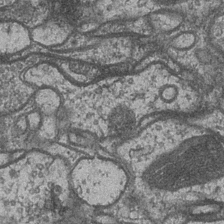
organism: Drosophila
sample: Optic medulla